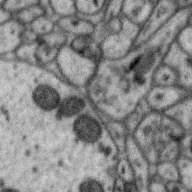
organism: Zebra finch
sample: Brain